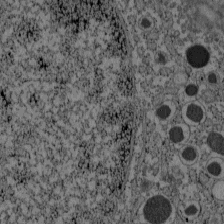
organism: C57BL Mouse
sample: Pancreatic islet